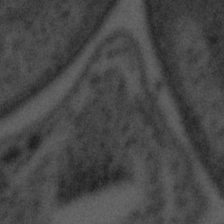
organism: Tuwongella immobilis